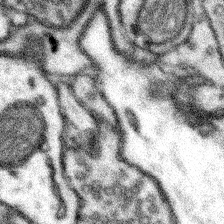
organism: Mouse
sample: Somatosensory cortex neuropil